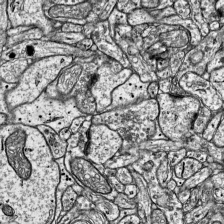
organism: Mouse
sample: Visual Cortex